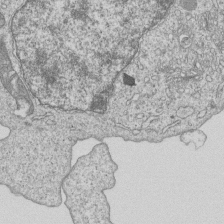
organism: Human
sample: MDA-MB-231 cells